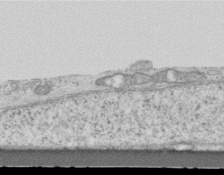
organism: Mouse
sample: Centriole in ependymal cells